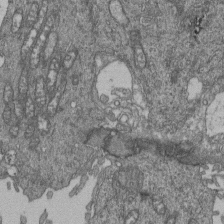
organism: Human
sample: Retinal organoid Rod and Cone cells